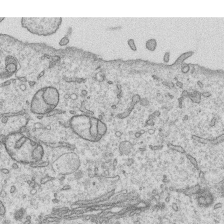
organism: Human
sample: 1205lu cells